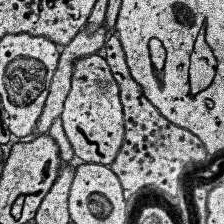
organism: Human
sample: Temporal Lobe